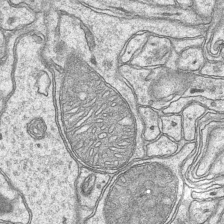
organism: Mouse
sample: CA1 Hippocampus